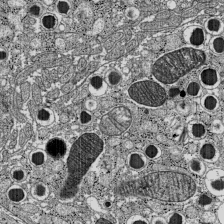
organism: C57BL Mouse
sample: Pancreatic islet